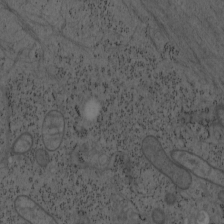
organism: Mouse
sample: OT-I killer T cells with ID8 ovarian cancer cells